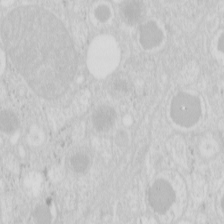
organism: Mouse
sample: Pancreas